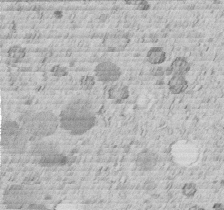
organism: C. elegans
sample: C. elegans embryo early stage